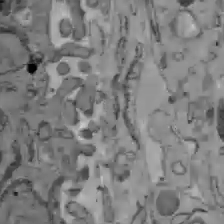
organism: C57BL Mouse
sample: Liver